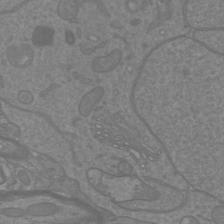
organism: Mouse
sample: Cortical neurons